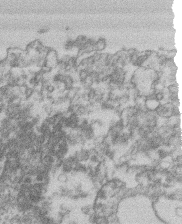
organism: Mouse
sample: T cell stromal cell synapse